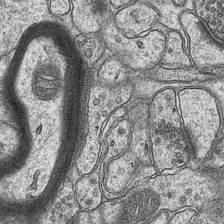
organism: Mouse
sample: CA1 Hippocampus